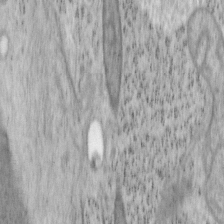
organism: Human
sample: HeLa cells